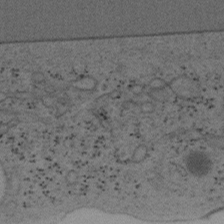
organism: Human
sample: HeLa cells